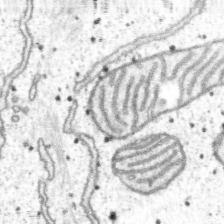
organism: Human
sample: HeLa cells